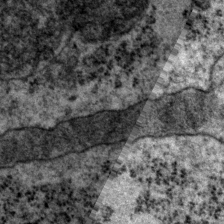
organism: P. pacificus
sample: Pharynx